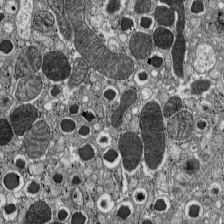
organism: C57BL Mouse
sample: Pancreatic islet